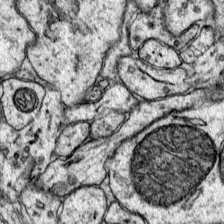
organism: Mouse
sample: Primary visual cortex